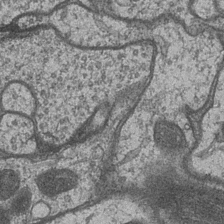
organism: Drosophila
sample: Optic medulla